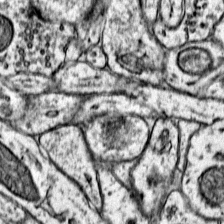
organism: Mouse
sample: Primary visual cortex